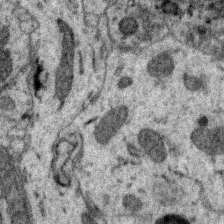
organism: Zebra finch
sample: Brain